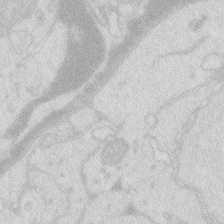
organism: Zebrafish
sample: Macrophage